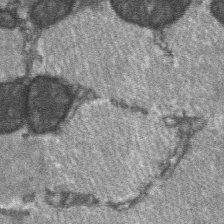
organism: C57BL Mouse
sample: Soleus